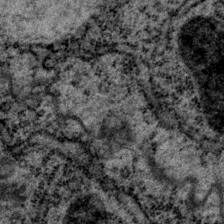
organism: P. pacificus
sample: Pharynx